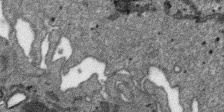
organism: Human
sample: Lung epithelial cells infected with SARS-CoV-2